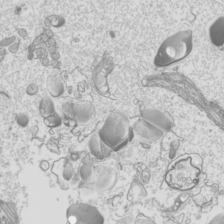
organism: Mouse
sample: Cilia; mouse epididymis